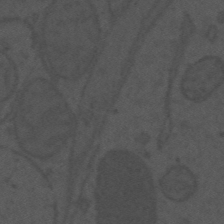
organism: Mouse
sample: Suprachiasmatic nucleus